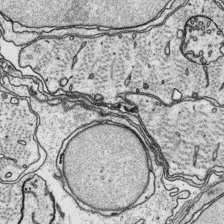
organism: Platynereis dumerilii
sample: Parapodia